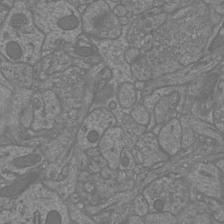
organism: Mouse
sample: Cortical neurons